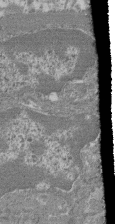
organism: Mouse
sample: Glomerulus